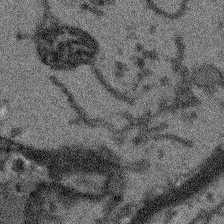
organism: Arabidopsis thaliana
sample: Root tip